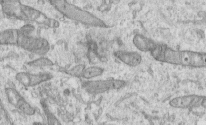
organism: Human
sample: Centriole in RPE cells